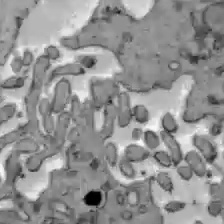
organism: C57BL Mouse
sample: Liver